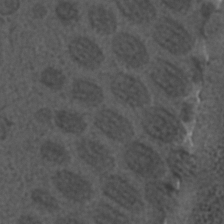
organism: C. elegans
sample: C. elegans embryo